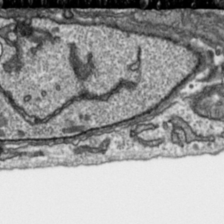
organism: Toxoplasma gondii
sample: Parasites in a vacuole inside a host cell